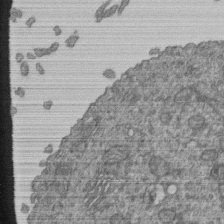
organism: Human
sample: Retinal organoid Rod and Cone cells